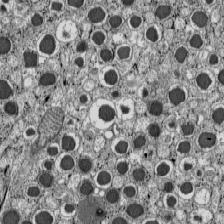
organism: C57BL Mouse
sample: Pancreatic islet